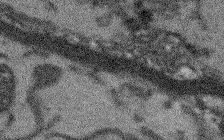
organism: Arabidopsis thaliana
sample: Root tip